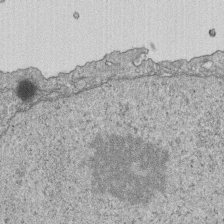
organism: Human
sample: HeLa cell HIV synapse